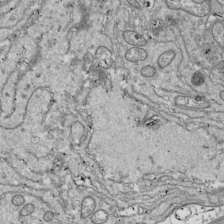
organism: Drosophila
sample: Cell division; meiosis; drosophila spermatocytes